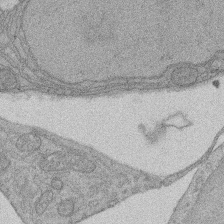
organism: Rat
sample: Salivary granule